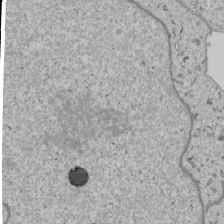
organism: Human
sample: Mitochondria in U2OS cells